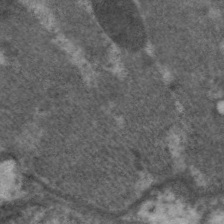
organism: C. elegans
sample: Pharynx